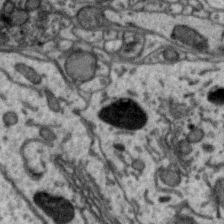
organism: Zebra finch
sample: Brain